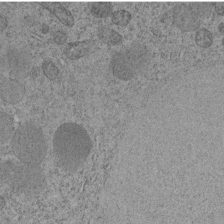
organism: C. elegans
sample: C. elegans embryo early stage